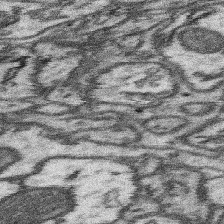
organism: Mouse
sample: Somatosensory cortex neuropil